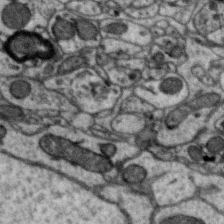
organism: Zebra finch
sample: Brain